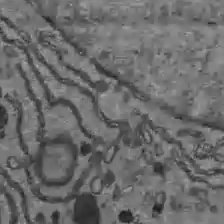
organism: C57BL Mouse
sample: Liver